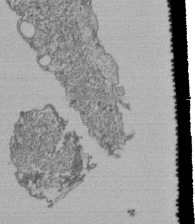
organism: Human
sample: Retinal organoid Rod and Cone cells